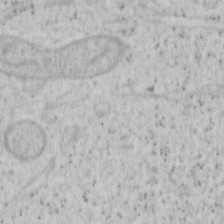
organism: Human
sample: HeLa cells